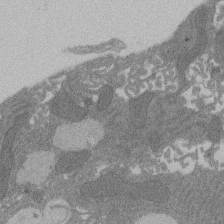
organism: Rat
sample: Salivary granule